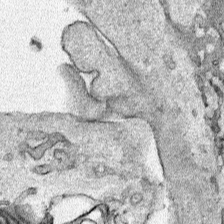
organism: Human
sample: Mitochondria in HCT116 cells